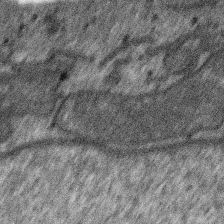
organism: Human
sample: Lung epithelial cells infected with SARS-CoV-2